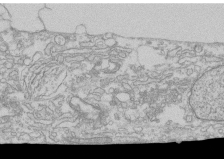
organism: Human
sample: CRL-1474